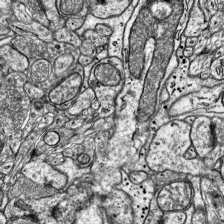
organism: Mouse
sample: Visual Cortex